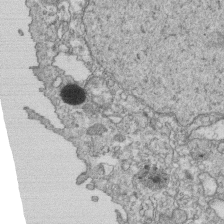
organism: Human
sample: HeLa cell HIV synapse